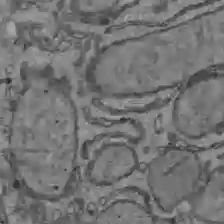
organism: C57BL Mouse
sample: Liver